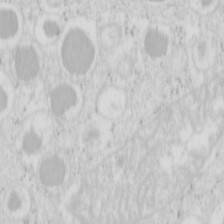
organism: Mouse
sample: Pancreas